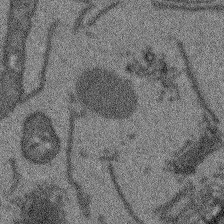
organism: Arabidopsis thaliana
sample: Root tip